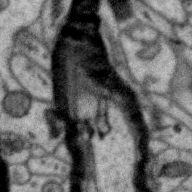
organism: Zebra finch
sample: Brain